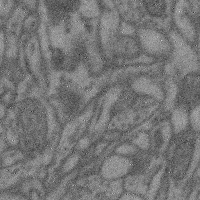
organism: Mouse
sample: Cerebral cortex